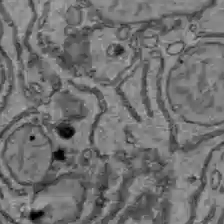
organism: C57BL Mouse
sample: Liver